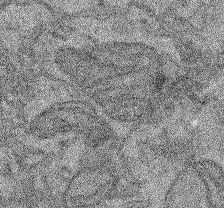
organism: Human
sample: HeLa cells